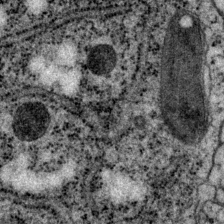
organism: P. pacificus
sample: Pharynx